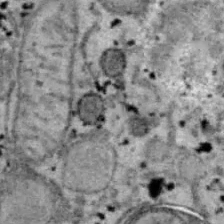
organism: Mouse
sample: Liver from an obese (ob/ob) mouse